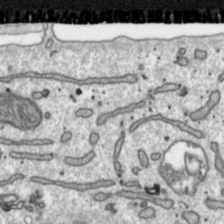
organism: Toxoplasma gondii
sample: Parasites in a vacuole inside a host cell